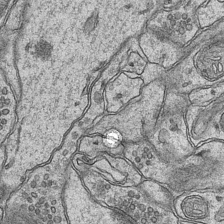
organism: Mouse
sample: CA1 Hippocampus